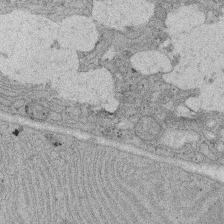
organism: Rat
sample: Salivary granule